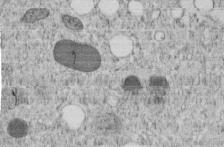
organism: C. elegans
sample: C. elegans embryo early stage